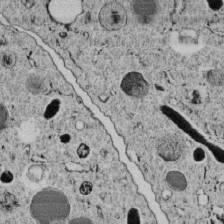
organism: C. elegans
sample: C. elegans embryo early stage